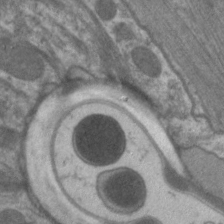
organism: C. elegans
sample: Pharynx